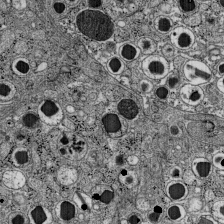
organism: C57BL Mouse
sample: Pancreatic islet